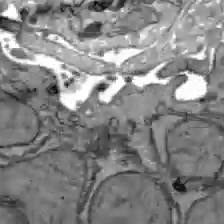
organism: C57BL Mouse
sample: Liver